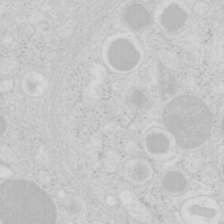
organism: Mouse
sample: Pancreas